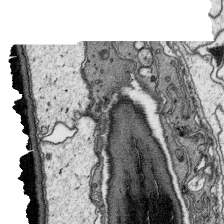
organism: Platynereis dumerilii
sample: Parapodia